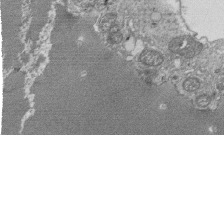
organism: Tetrahymena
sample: Cilia in tetrahymena